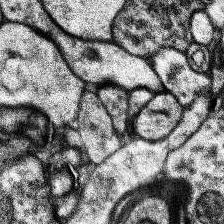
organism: Human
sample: Temporal Lobe